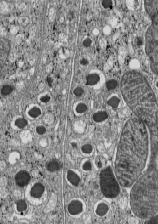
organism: C57BL Mouse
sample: Pancreatic islet